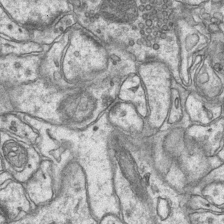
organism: Mouse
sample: CA1 Hippocampus